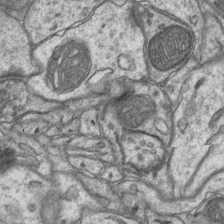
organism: Mouse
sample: CA1 Hippocampus